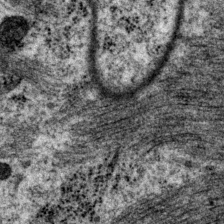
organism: P. pacificus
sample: Pharynx